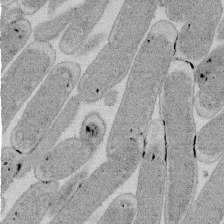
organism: E. coli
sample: Bacterial nucleoid